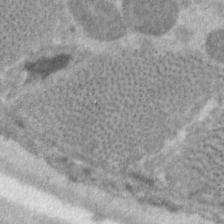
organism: C. elegans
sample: Pharynx